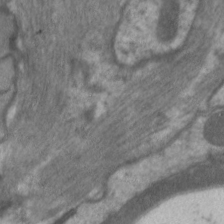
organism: C. elegans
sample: Pharynx